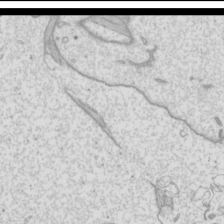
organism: Mouse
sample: Cilia; mouse epididymis